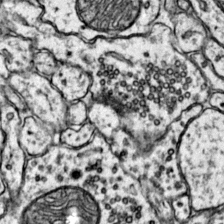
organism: Mouse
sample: Primary visual cortex